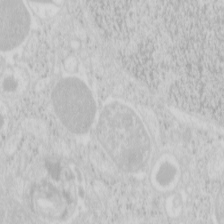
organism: Mouse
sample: Pancreas